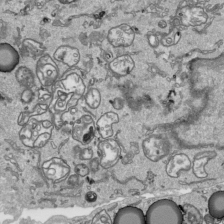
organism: Human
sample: Mitochondria in HCT116 cells